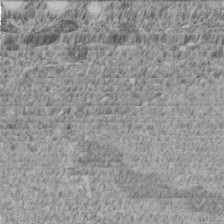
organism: C. elegans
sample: C. elegans embryo early stage